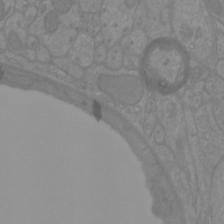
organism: Mouse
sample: Cortical neurons